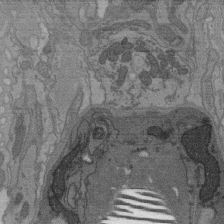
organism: C. elegans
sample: AFD neurons C. elegans